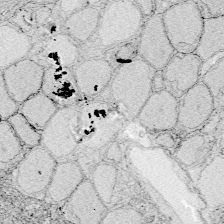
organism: Zebrafish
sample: Whole-Brain